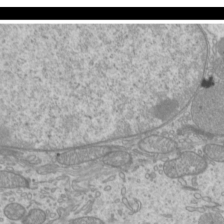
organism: Mouse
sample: Cilia; mouse epididymis